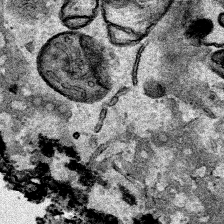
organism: Human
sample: Mitochondria in HCT116 cells